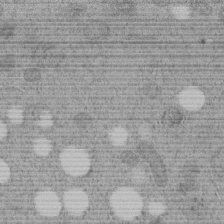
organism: C. elegans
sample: C. elegans embryo early stage